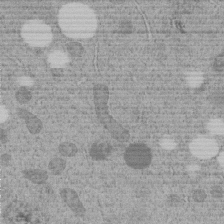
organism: C. elegans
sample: C. elegans embryo early stage